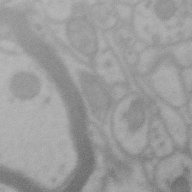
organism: Zebra finch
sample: Brain